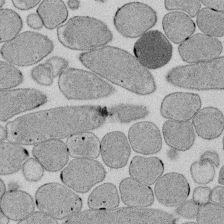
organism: E. coli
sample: Bacterial nucleoid